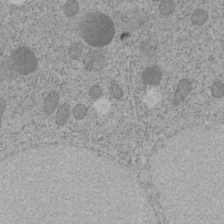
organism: C. elegans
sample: C. elegans embryo early stage